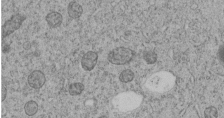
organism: C. elegans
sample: C. elegans embryo early stage